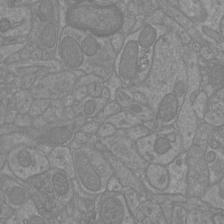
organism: Mouse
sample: Cortical neurons